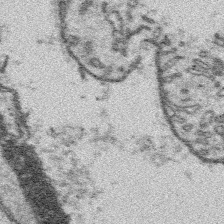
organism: Platynereis dumerilii